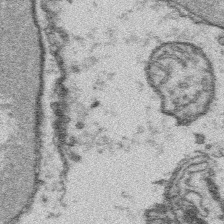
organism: Platynereis dumerilii